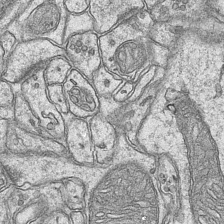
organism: Mouse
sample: CA1 Hippocampus